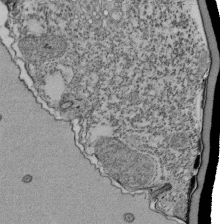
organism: Tetrahymena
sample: Cilia in tetrahymena